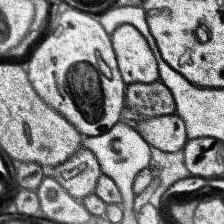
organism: Human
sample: Temporal Lobe